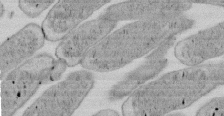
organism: E. coli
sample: Bacterial nucleoid